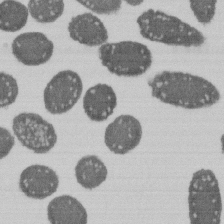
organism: E. coli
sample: Bacterial nucleoid